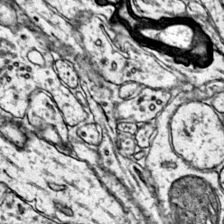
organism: Mouse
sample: Primary visual cortex